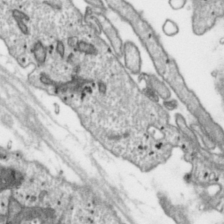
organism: Toxoplasma gondii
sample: Parasites in a vacuole inside a host cell